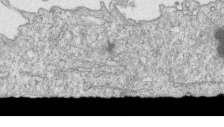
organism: Human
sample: HeLa cell HIV synapse